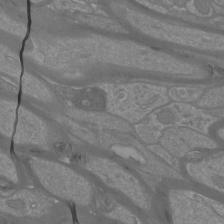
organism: Mouse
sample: Cortical neurons